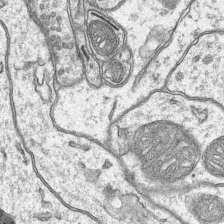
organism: Mouse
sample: CA1 Hippocampus